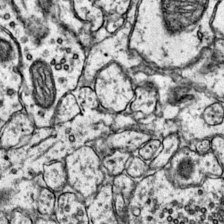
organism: Mouse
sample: Primary visual cortex